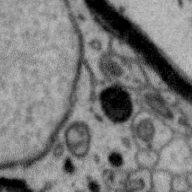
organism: Zebra finch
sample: Brain